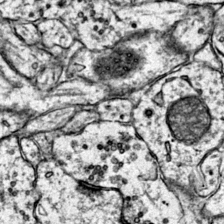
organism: Mouse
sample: Primary visual cortex